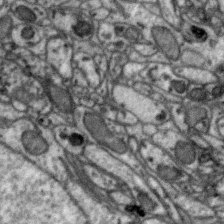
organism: Zebra finch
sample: Brain